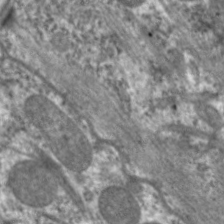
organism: C. elegans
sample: Pharynx